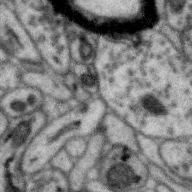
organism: Zebra finch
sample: Brain